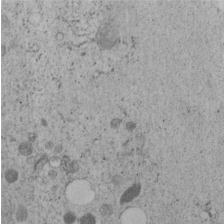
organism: C. elegans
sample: C. elegans embryo early stage